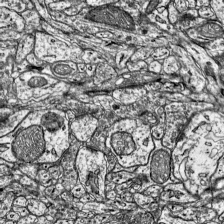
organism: Mouse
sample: Visual Cortex